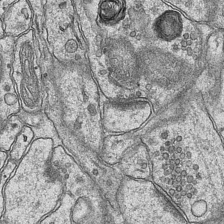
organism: Mouse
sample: CA1 Hippocampus